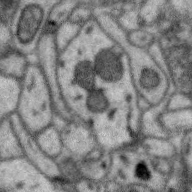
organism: Zebra finch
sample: Brain